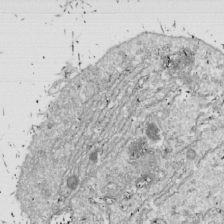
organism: Drosophila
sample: Cell division; meiosis; drosophila spermatocytes